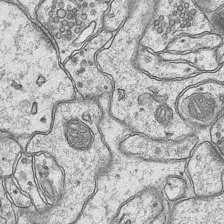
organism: Mouse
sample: CA1 Hippocampus